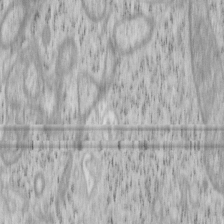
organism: Human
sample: HeLa cells